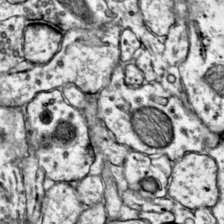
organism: Mouse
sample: Primary visual cortex